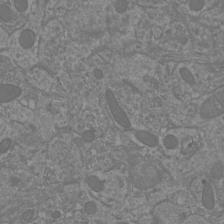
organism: Mouse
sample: Cortical neurons